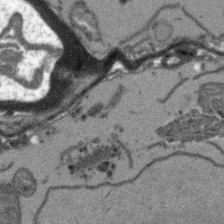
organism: Arabidopsis thaliana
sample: Root tip